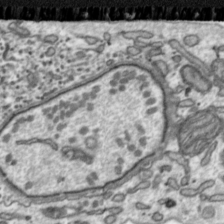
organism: Toxoplasma gondii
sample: Parasites in a vacuole inside a host cell